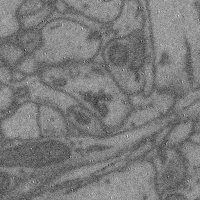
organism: Mouse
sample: Cerebral cortex